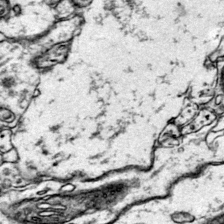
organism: Mouse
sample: Primary visual cortex